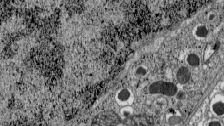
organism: C57BL Mouse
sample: Pancreatic islet